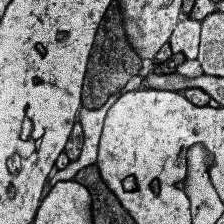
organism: Human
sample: Temporal Lobe